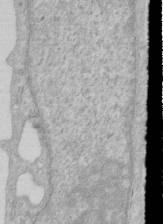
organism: Human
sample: Centriole in RPE cells